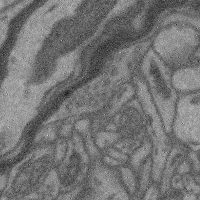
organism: Mouse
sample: Cerebral cortex